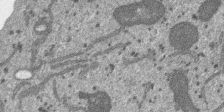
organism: Human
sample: Lung epithelial cells infected with SARS-CoV-2